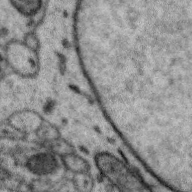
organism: Zebra finch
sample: Brain